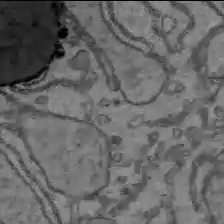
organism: C57BL Mouse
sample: Liver